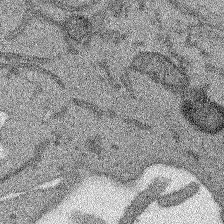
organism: Human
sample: HeLa cells